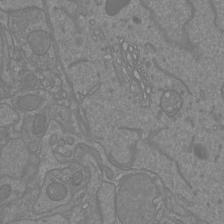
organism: Mouse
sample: Cortical neurons